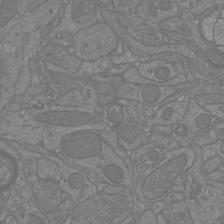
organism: Mouse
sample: Cortical neurons